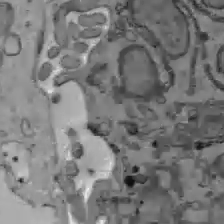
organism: C57BL Mouse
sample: Liver